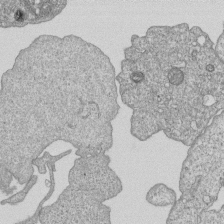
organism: Human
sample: MDA-MB-231 cells